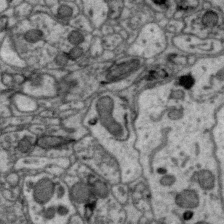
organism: Zebra finch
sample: Brain